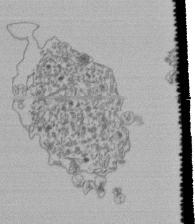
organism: Human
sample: Retinal organoid Rod and Cone cells